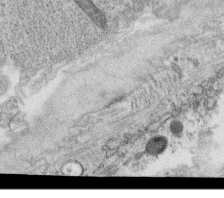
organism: C. elegans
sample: C. elegans oocyte; sperm cells